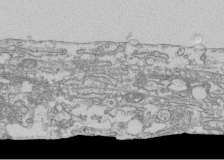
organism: Human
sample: Fibroblast cells